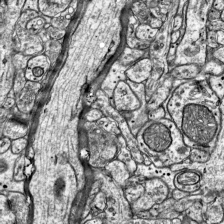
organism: Mouse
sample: Visual Cortex